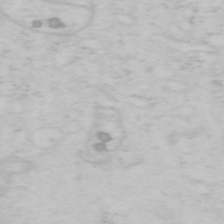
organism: Mouse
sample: OT-I killer T cells with ID8 ovarian cancer cells